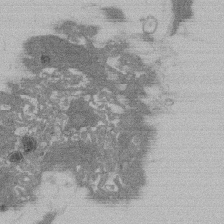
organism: Rat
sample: Salivary granule